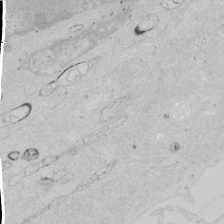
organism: Human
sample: Mitochondria in HCT116 cells